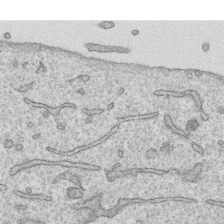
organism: Human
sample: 1205lu cells